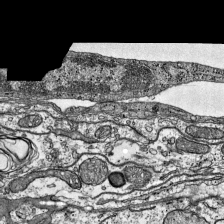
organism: Mouse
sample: Visual Cortex